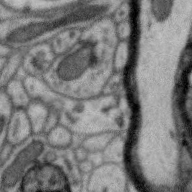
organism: Zebra finch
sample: Brain